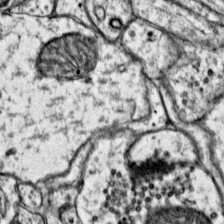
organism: Mouse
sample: Primary visual cortex